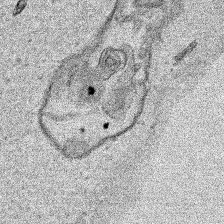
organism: Human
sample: Mitochondria in HCT116 cells